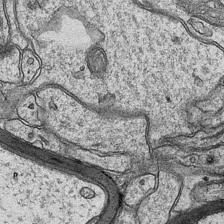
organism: Mouse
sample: CA1 Hippocampus